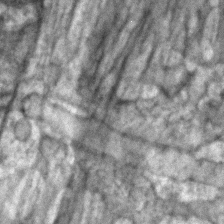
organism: Zebrafish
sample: Zebrafish embryo